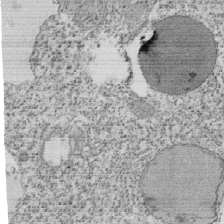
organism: Tetrahymena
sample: Cilia in tetrahymena